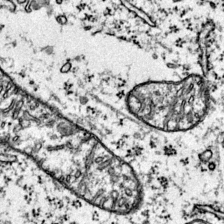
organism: Mouse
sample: Primary visual cortex